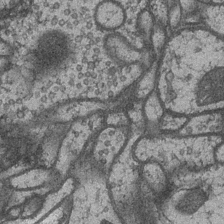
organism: Drosophila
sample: Optic medulla